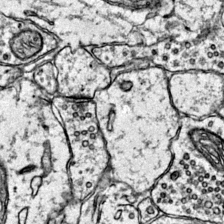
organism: Mouse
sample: Primary visual cortex